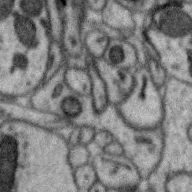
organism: Zebra finch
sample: Brain